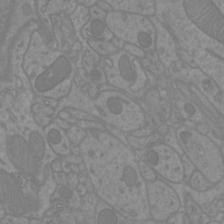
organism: Mouse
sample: Cortical neurons